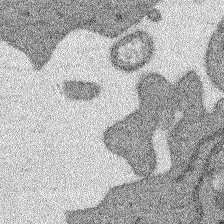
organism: Human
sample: HeLa cells